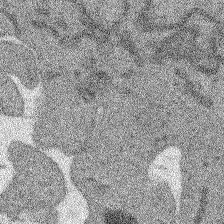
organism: Human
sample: HeLa cells